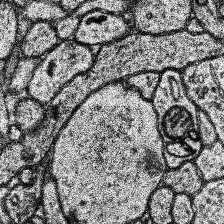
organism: Human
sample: Temporal Lobe